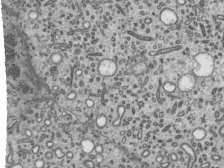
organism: Mouse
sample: Mouse epididymis efferent ductule cilia